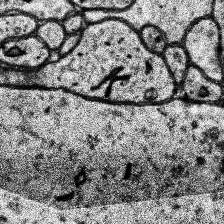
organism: Human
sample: Temporal Lobe